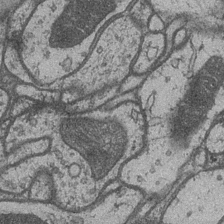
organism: Drosophila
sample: Optic medulla